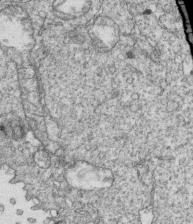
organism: Human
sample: HeLa cell HIV synapse